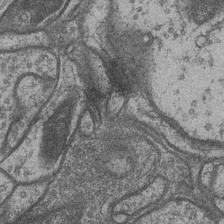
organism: Drosophila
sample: Optic medulla